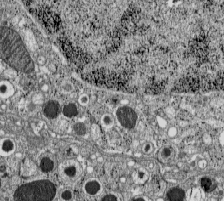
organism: C57BL Mouse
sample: Pancreatic islet